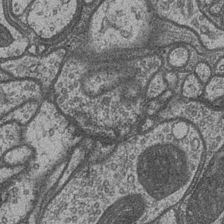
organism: Drosophila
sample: Optic medulla